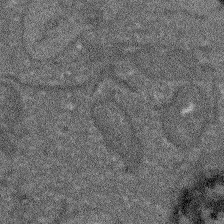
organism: Arabidopsis thaliana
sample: Root tip